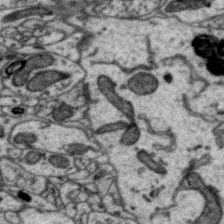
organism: Zebra finch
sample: Brain